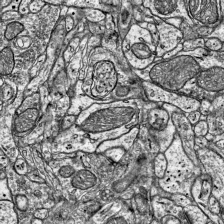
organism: Mouse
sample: Visual Cortex